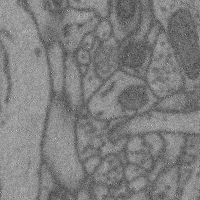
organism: Mouse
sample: Cerebral cortex